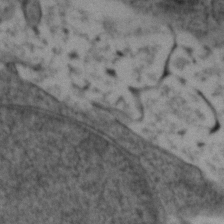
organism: Zebrafish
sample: Zebrafish embryo